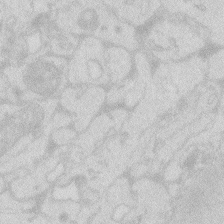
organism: Zebrafish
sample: Macrophage